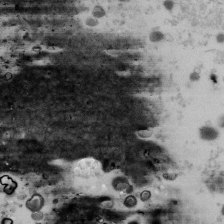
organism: Human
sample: U2-OS cells